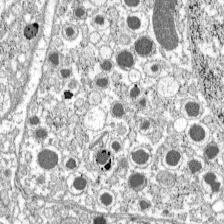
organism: C57BL Mouse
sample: Pancreatic islet